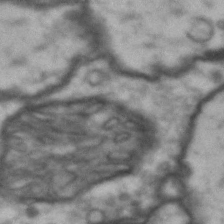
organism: Drosophila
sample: Brain